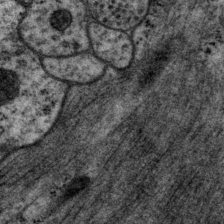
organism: P. pacificus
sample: Pharynx